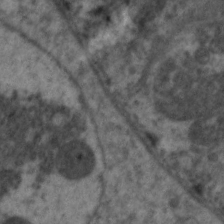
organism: C. elegans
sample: Pharynx